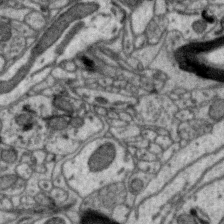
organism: Zebra finch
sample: Brain